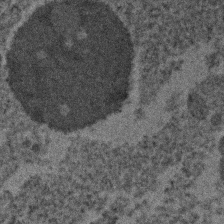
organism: Human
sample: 1205lu cells